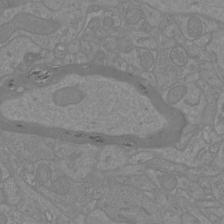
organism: Mouse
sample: Cortical neurons